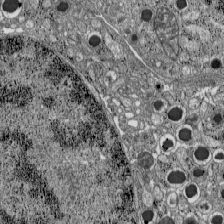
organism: C57BL Mouse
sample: Pancreatic islet